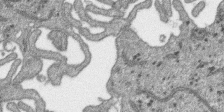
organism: Human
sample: Lung epithelial cells infected with SARS-CoV-2